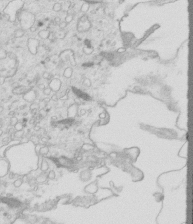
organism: Mouse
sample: Multiciliated cells